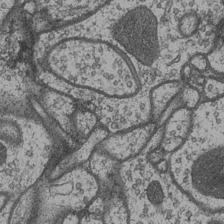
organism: Drosophila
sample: Optic medulla